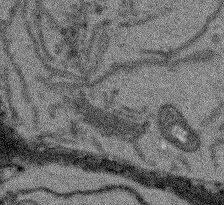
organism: Arabidopsis thaliana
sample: Root tip